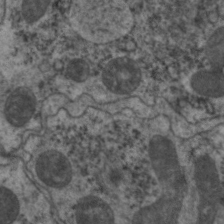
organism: C. elegans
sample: Pharynx